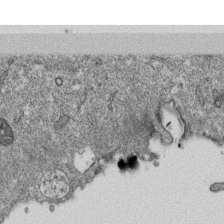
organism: African green monkey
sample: Vero E6 cells infected with SARS-CoV-2